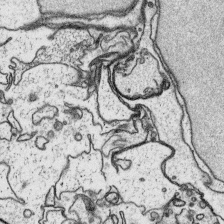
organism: Platynereis dumerilii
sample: Parapodia